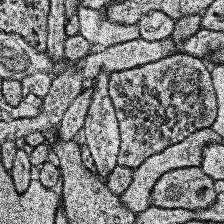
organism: Human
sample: Temporal Lobe